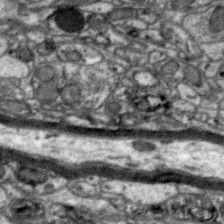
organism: Zebra finch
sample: Brain